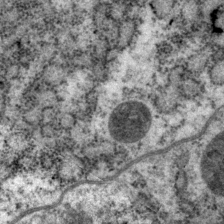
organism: P. pacificus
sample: Pharynx